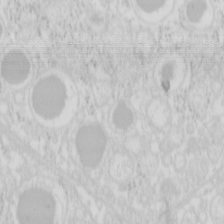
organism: Mouse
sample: Pancreas